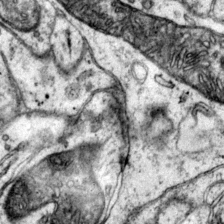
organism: Mouse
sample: Primary visual cortex